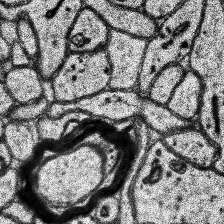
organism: Human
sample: Temporal Lobe